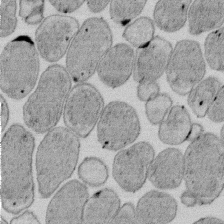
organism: E. coli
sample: Bacterial nucleoid